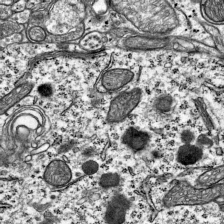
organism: Mouse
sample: Visual Cortex